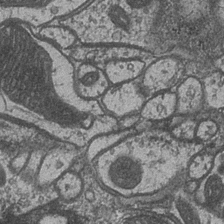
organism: Drosophila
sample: Optic medulla